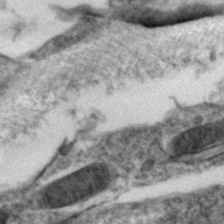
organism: Zebrafish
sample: Zebrafish embryo